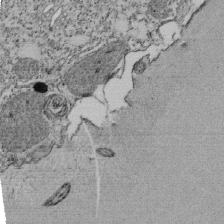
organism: Tetrahymena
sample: Cilia in tetrahymena